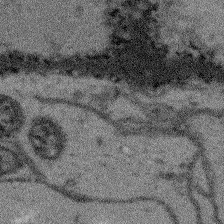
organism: Arabidopsis thaliana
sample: Root tip